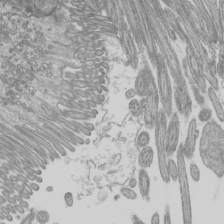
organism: Mouse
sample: Cilia; mouse epididymis